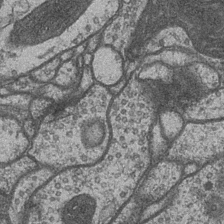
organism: Drosophila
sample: Optic medulla